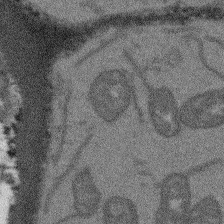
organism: Arabidopsis thaliana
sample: Root tip